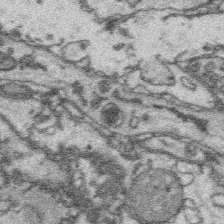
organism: Platynereis dumerilii